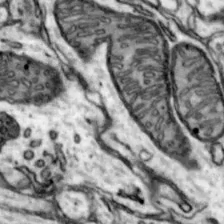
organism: Mouse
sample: Nucleus accumbens